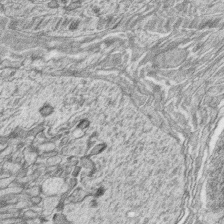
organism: Zebrafish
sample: synaptic ribbons in rod cells and cone cells